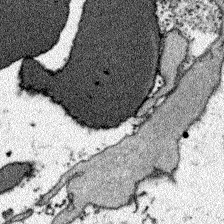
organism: Zebrafish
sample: Larval olfactory bulb